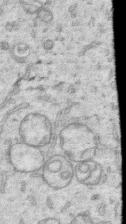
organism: Human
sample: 1205lu cells